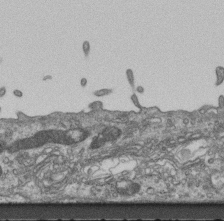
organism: Mouse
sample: Centriole in ependymal cells